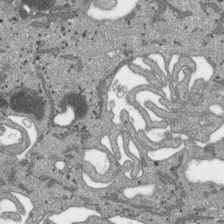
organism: Human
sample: Lung epithelial cells infected with SARS-CoV-2